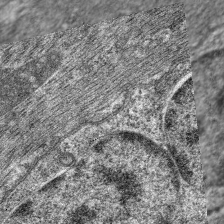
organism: C. elegans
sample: Pharynx